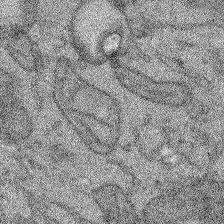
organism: Human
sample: HeLa cells